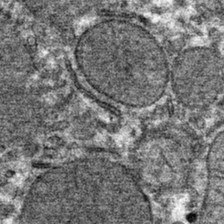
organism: Mouse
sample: Mouse hepatocytes